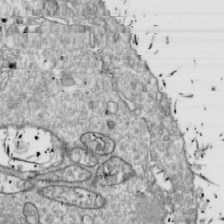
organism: Drosophila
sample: Cell division; meiosis; drosophila spermatocytes